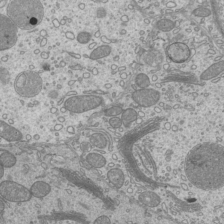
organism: Mouse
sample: Cilia; mouse epididymis